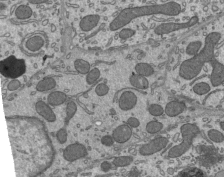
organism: Mouse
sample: Mouse epididymis efferent ductule cilia